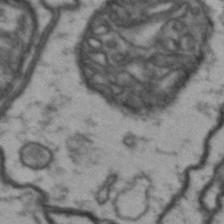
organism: Drosophila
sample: Brain